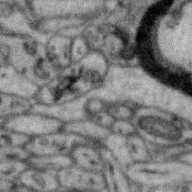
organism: Zebra finch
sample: Brain